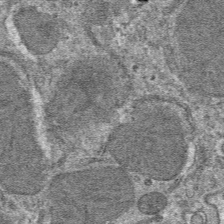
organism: Mouse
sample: Mouse hepatocytes